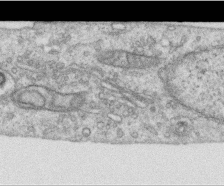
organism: Human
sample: Centriole in RPE cells